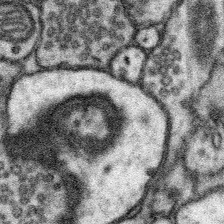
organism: Mouse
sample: Somatosensory cortex neuropil